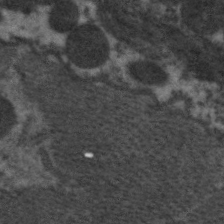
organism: C. elegans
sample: Pharynx